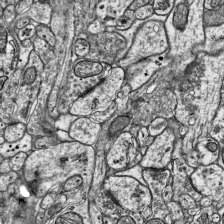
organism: Mouse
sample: Visual Cortex